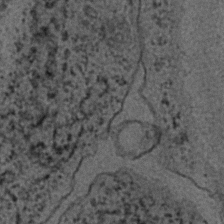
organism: C. elegans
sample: C. elegans embryo